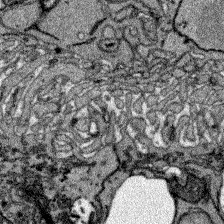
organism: Zebrafish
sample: Larval olfactory bulb